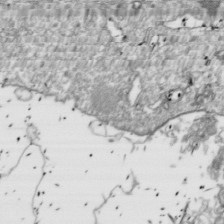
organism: Drosophila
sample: Cell division; meiosis; drosophila spermatocytes